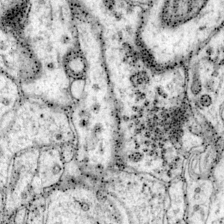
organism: Mouse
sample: Primary visual cortex